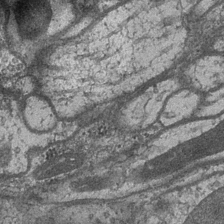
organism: Drosophila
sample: Optic medulla